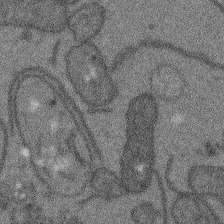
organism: Arabidopsis thaliana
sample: Root tip